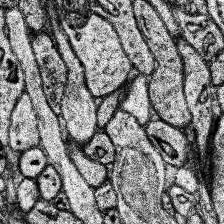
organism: Human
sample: Temporal Lobe